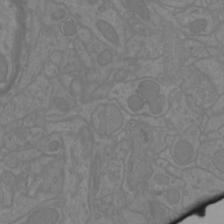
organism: Mouse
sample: Cortical neurons